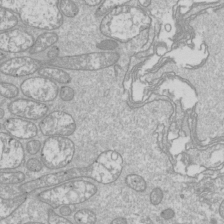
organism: Drosophila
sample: Cell division; meiosis; drosophila spermatocytes